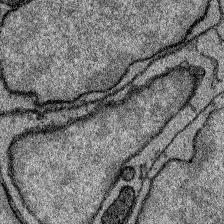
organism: Zebrafish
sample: Larval olfactory bulb